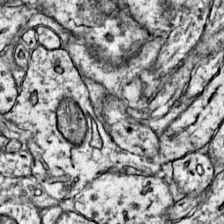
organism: Mouse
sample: Primary visual cortex